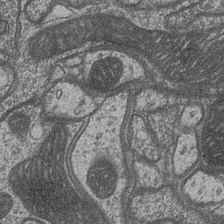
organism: Drosophila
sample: Optic medulla